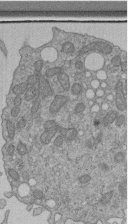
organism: Human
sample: Retinal organoid Rod and Cone cells